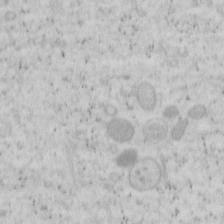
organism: Human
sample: HeLa cells